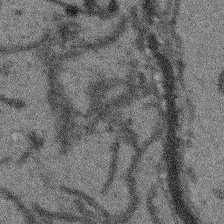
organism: Arabidopsis thaliana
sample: Root tip